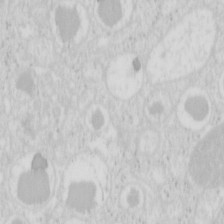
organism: Mouse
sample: Pancreas